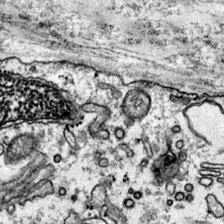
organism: Mouse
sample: Primary visual cortex